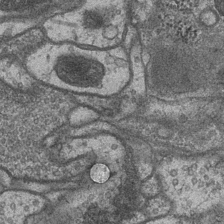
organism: Drosophila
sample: Optic medulla